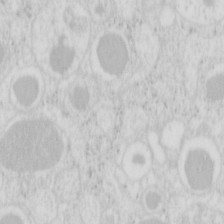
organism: Mouse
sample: Pancreas